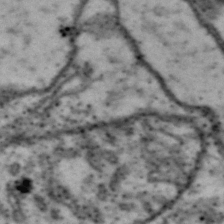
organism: Drosophila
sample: Brain